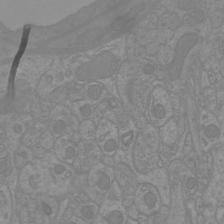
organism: Mouse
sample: Cortical neurons